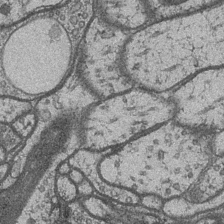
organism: Drosophila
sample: Optic medulla